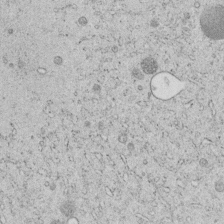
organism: C. elegans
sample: C. elegans embryo early stage